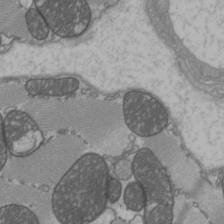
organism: C57BL Mouse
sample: Heart